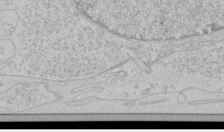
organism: Human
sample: Mitochondria in HCT116 cells